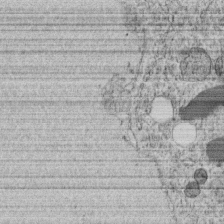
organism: C. elegans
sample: C. elegans embryo early stage